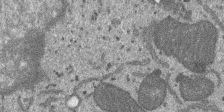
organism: Human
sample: Lung epithelial cells infected with SARS-CoV-2